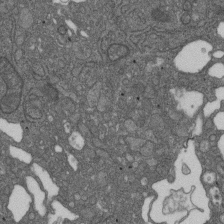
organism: Drosophila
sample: Nephrocyte